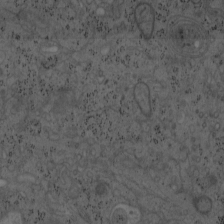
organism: Mouse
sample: OT-I killer T cells with ID8 ovarian cancer cells